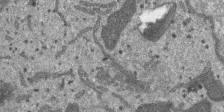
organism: Human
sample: Lung epithelial cells infected with SARS-CoV-2